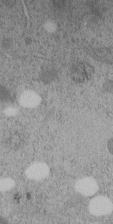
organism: C. elegans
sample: C. elegans embryo early stage